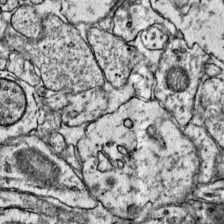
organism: Mouse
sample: Primary visual cortex